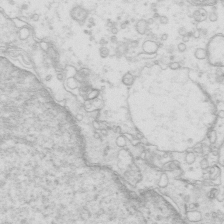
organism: Mouse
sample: Multiciliated cells